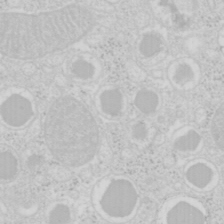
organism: Mouse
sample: Pancreas